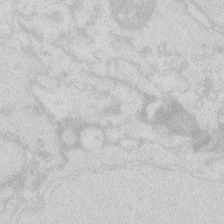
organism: Zebrafish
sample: Macrophage